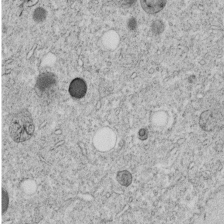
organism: C. elegans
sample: C. elegans embryo early stage